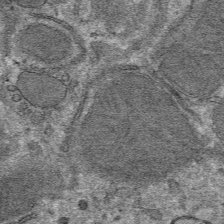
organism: Mouse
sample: Mouse hepatocytes